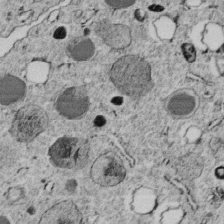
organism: C. elegans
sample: C. elegans embryo early stage